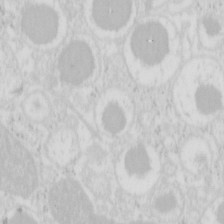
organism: Mouse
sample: Pancreas